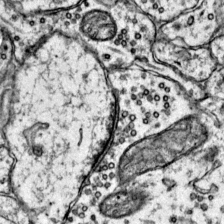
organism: Mouse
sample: Primary visual cortex